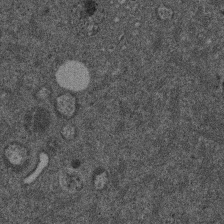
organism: Mouse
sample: Dividing mouse embryo 1 cell stage